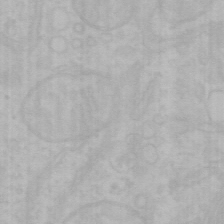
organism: Mouse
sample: Choroid plexus